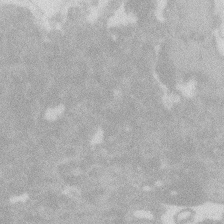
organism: Zebrafish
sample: Macrophage